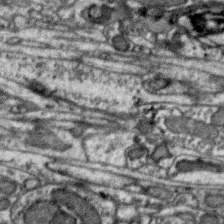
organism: Zebra finch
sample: Brain